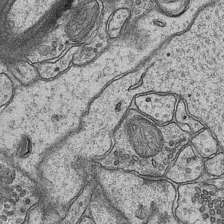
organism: Mouse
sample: CA1 Hippocampus